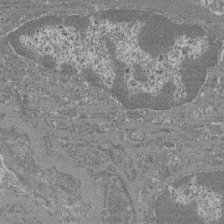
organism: Mouse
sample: Glomerulus